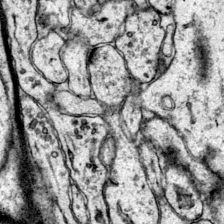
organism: Mouse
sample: Primary visual cortex